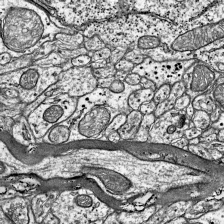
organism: Mouse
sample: Visual Cortex